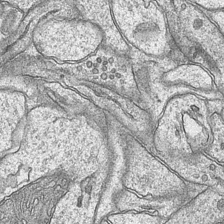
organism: Mouse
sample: CA1 Hippocampus